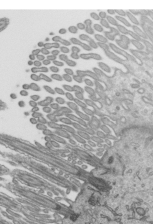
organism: Mouse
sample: Mouse epididymis efferent ductule cilia